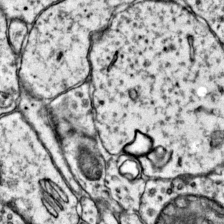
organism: Mouse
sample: Primary visual cortex